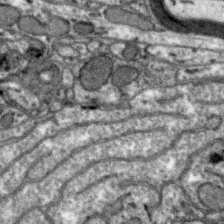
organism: Zebra finch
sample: Brain